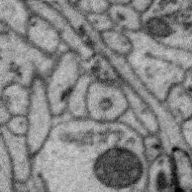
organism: Zebra finch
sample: Brain